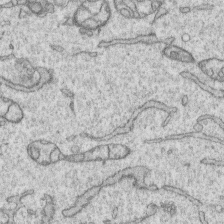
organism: Human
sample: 1205lu cells